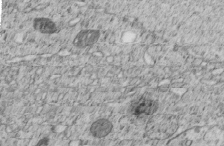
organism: C. elegans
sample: C. elegans embryo early stage